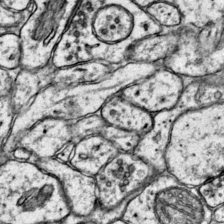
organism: Mouse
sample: Primary visual cortex